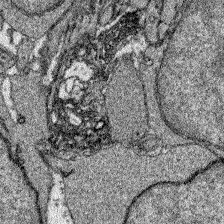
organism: Zebrafish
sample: Larval olfactory bulb